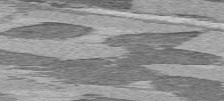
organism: C57BL Mouse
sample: Heart